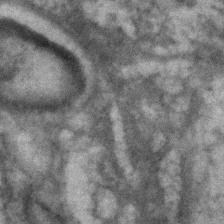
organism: Human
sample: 1205lu cells